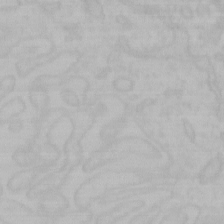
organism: Mouse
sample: Choroid plexus